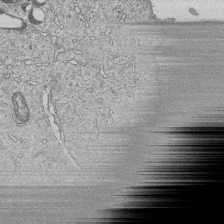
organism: Human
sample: MDA-MB-231 cells